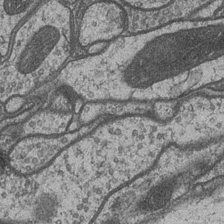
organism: Drosophila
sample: Optic medulla